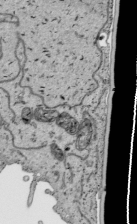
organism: Human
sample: Mitochondria in HCT116 cells